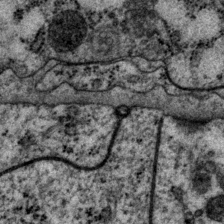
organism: P. pacificus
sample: Pharynx